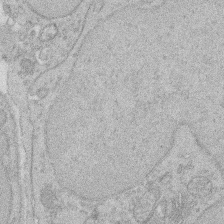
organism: Rat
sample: Salivary granule